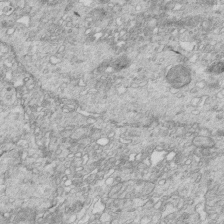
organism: Mouse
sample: Multiciliated cells